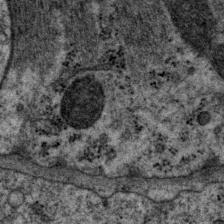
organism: P. pacificus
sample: Pharynx